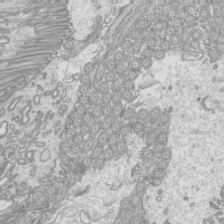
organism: Mouse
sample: Cilia; mouse epididymis